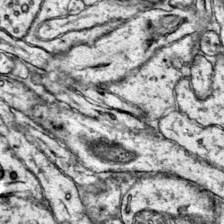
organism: Mouse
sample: Primary visual cortex